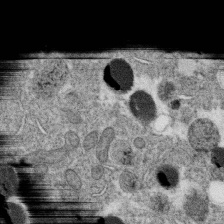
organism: C. elegans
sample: C. elegans oocyte; sperm cells